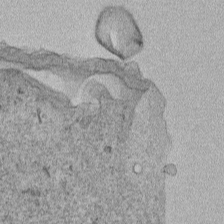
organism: Human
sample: Mitochondria in HCT116 cells